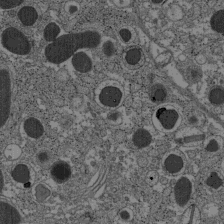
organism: C57BL Mouse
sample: Pancreatic islet